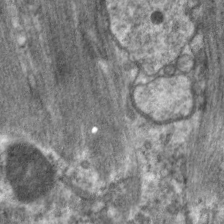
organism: C. elegans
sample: Pharynx